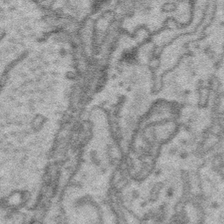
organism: Platynereis dumerilii